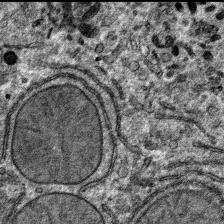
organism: Mouse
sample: Mouse hepatocytes